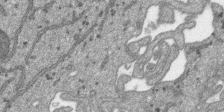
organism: Human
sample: Lung epithelial cells infected with SARS-CoV-2